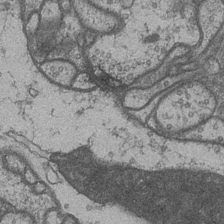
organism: Drosophila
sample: Optic medulla